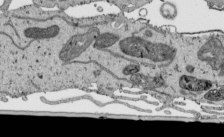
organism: Human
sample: Mitochondria in HCT116 cells